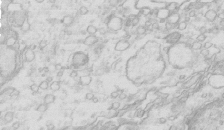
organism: Mouse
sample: Multiciliated cells